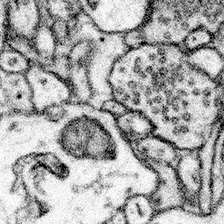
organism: Mouse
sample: Somatosensory cortex neuropil